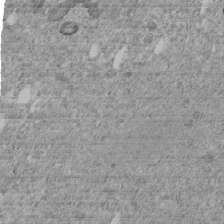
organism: C. elegans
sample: C. elegans embryo early stage